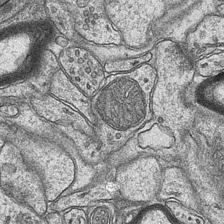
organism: Mouse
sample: CA1 Hippocampus